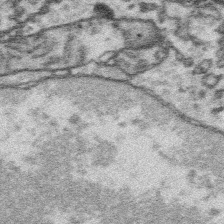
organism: Platynereis dumerilii